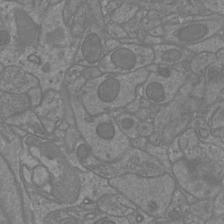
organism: Mouse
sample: Cortical neurons